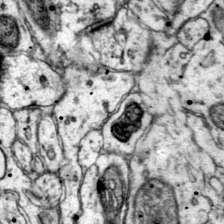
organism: Mouse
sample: Primary visual cortex